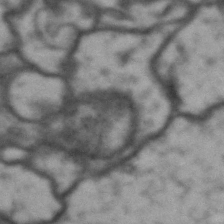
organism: Drosophila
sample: Brain